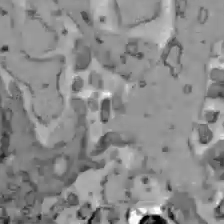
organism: C57BL Mouse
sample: Liver